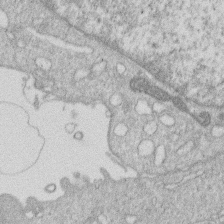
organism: Human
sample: Macrophage cells